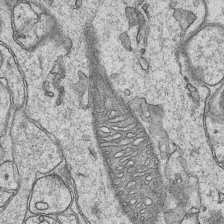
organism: Mouse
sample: CA1 Hippocampus